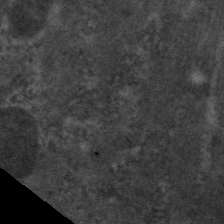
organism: C. elegans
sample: Pharynx